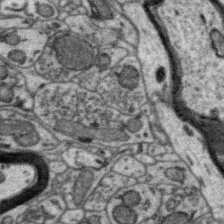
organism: Zebra finch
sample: Brain